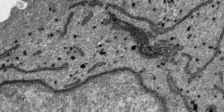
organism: Human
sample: Lung epithelial cells, uninfected (mock) control